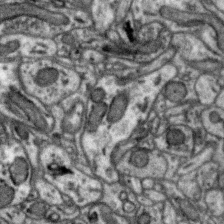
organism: Zebra finch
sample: Brain